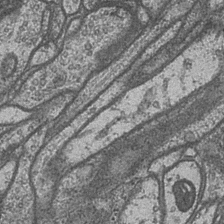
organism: Drosophila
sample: Optic medulla